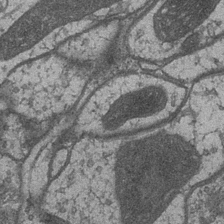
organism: Drosophila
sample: Optic medulla